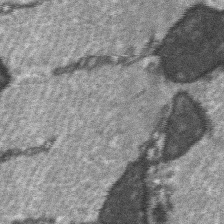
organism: C57BL Mouse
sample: Soleus